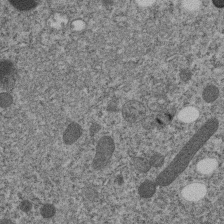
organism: C. elegans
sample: C. elegans embryo early stage